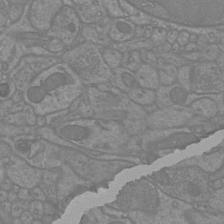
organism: Mouse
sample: Cortical neurons